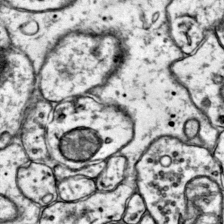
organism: Mouse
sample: Primary visual cortex